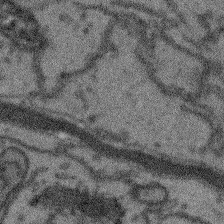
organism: Arabidopsis thaliana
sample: Root tip